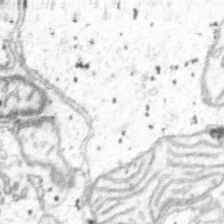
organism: Human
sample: HeLa cells